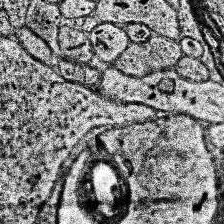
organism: Human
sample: Temporal Lobe